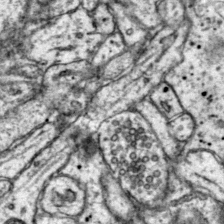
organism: Mouse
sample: Primary visual cortex